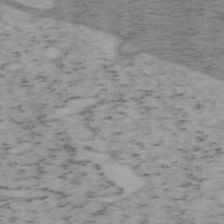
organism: Mouse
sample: OT-I killer T cells with ID8 ovarian cancer cells